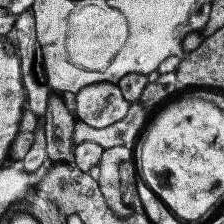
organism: Human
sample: Temporal Lobe